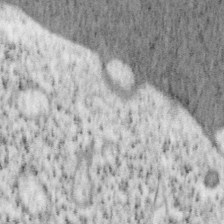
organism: Mouse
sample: OT-I killer T cells with ID8 ovarian cancer cells